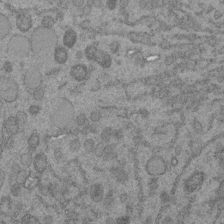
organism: C. elegans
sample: C. elegans embryo early stage